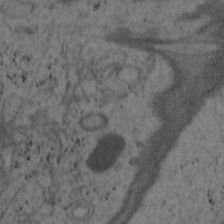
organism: Human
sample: HeLa cells